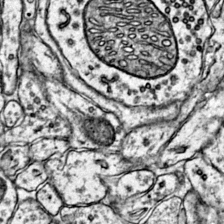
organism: Mouse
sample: Primary visual cortex